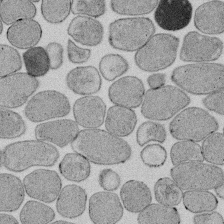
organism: E. coli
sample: Bacterial nucleoid